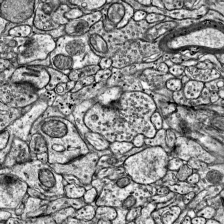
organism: Mouse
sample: Visual Cortex